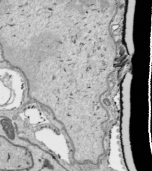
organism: Human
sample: Mitochondria in HCT116 cells